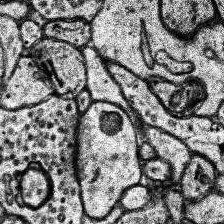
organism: Human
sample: Temporal Lobe